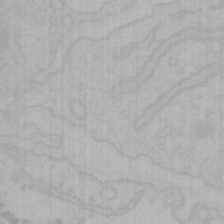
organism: Mouse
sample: Choroid plexus